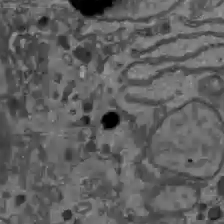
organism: C57BL Mouse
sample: Liver